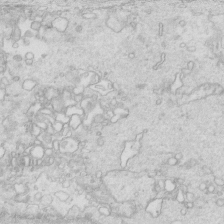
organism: Mouse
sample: Multiciliated cells